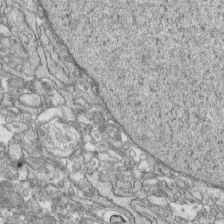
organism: Human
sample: CRL-1474